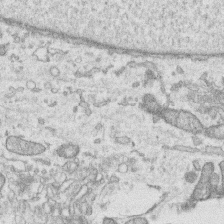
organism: Human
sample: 1205lu cells